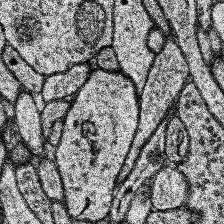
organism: Human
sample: Temporal Lobe